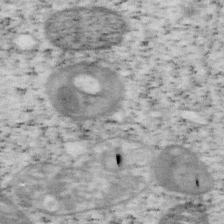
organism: Mouse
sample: OT-I killer T cells with ID8 ovarian cancer cells